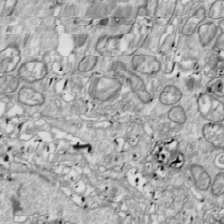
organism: Drosophila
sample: Cell division; meiosis; drosophila spermatocytes